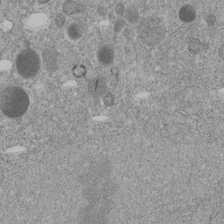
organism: C. elegans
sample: C. elegans embryo early stage